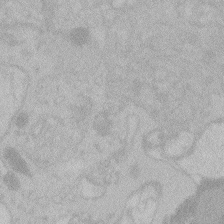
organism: Zebrafish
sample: Macrophage infected with Toxoplasma gondii